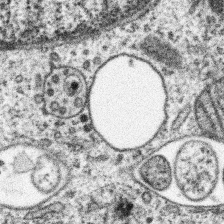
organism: Human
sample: HeLa cells